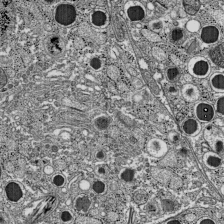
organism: C57BL Mouse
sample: Pancreatic islet